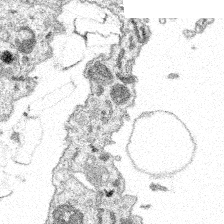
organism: Spongilla lacustris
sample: Multiple